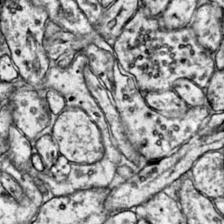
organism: Mouse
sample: Primary visual cortex